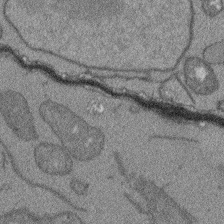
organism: Arabidopsis thaliana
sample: Root tip